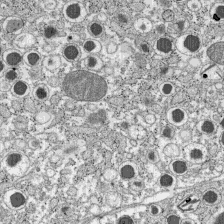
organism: C57BL Mouse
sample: Pancreatic islet